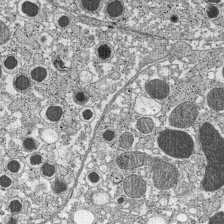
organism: C57BL Mouse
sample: Pancreatic islet